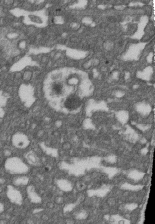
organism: Drosophila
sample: Nephrocyte